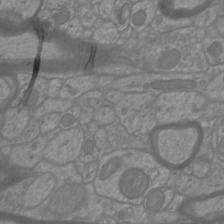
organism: Mouse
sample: Cortical neurons